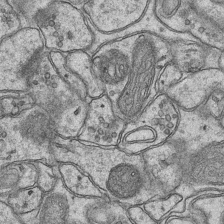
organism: Mouse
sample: CA1 Hippocampus